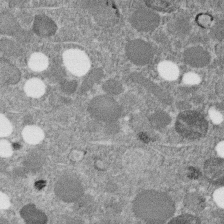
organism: C. elegans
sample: C. elegans embryo early stage